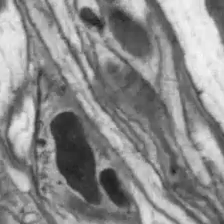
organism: Drosophila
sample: Optic lobe